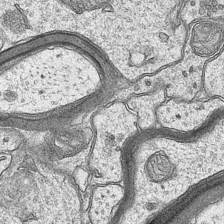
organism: Mouse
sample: CA1 Hippocampus